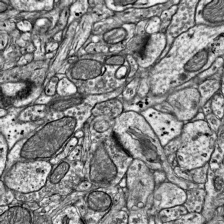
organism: Mouse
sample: Visual Cortex